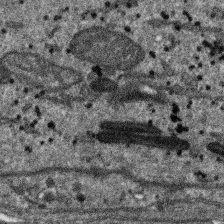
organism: Human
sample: Lung epithelial cells infected with SARS-CoV-2